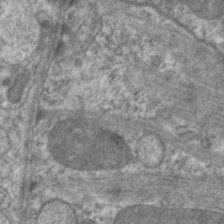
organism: C. elegans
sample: Pharynx